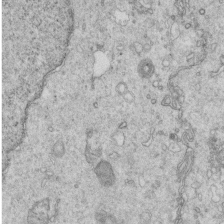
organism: Mouse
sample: Multiciliated cells